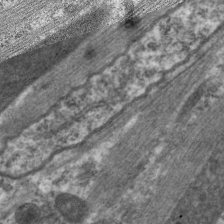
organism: C. elegans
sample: Pharynx